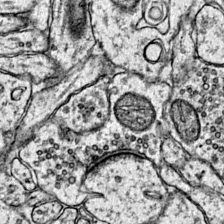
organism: Mouse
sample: Primary visual cortex